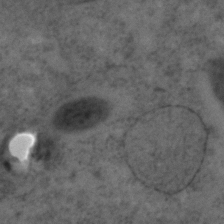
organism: C. elegans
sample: C. elegans embryo